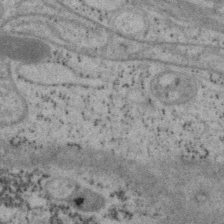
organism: Human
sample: HeLa cells